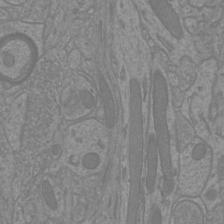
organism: Mouse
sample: Cortical neurons